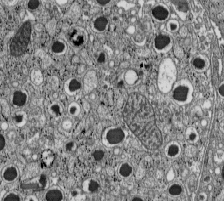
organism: C57BL Mouse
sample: Pancreatic islet